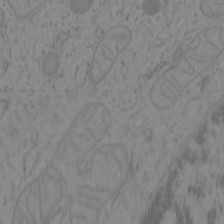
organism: Human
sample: HeLa cells